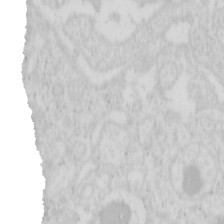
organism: Mouse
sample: Pancreas